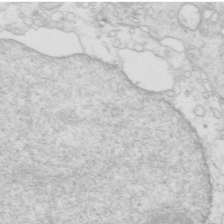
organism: Mouse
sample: Multiciliated cells